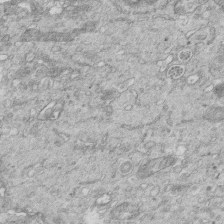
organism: Mouse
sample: Multiciliated cells